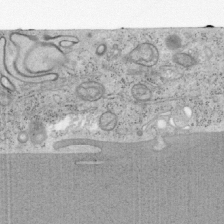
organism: Human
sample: HeLa cells